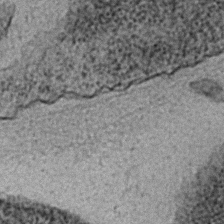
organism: C. elegans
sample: C. elegans embryo